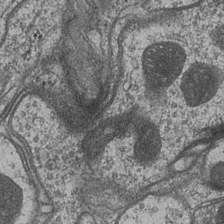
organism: Drosophila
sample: Optic medulla